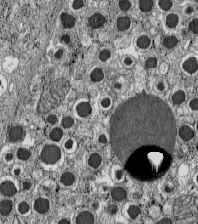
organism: C57BL Mouse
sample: Pancreatic islet